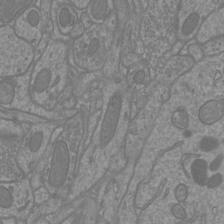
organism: Mouse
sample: Cortical neurons